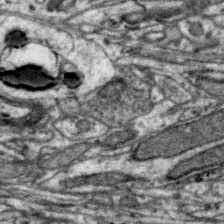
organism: Zebra finch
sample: Brain